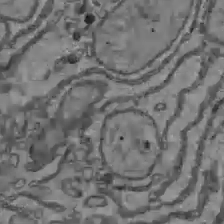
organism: C57BL Mouse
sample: Liver